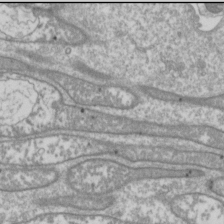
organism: Drosophila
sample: Cell division; meiosis; drosophila spermatocytes